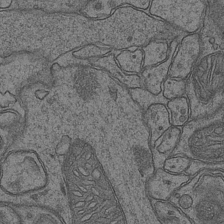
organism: Mouse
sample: CA1 Hippocampus